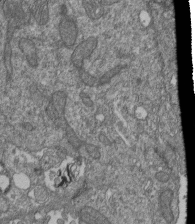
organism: Human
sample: Retinal organoid Rod and Cone cells